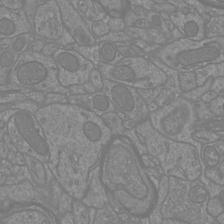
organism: Mouse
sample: Cortical neurons